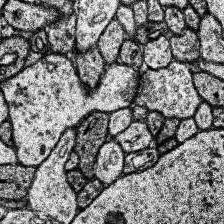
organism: Human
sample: Temporal Lobe